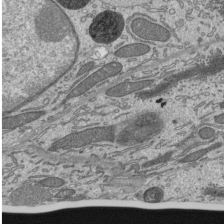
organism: Mouse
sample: Mouse epididymis efferent ductule cilia